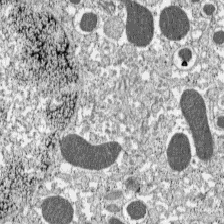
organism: C57BL Mouse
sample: Pancreatic islet